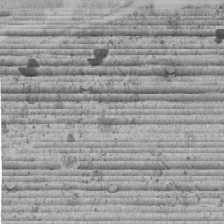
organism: C. elegans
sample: C. elegans embryo early stage